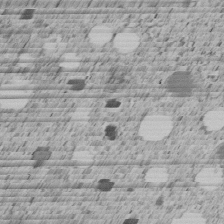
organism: C. elegans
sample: C. elegans embryo early stage